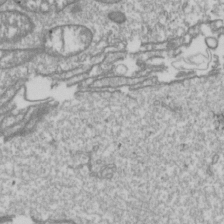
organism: Drosophila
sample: Cell division; meiosis; drosophila spermatocytes